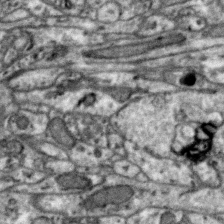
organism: Zebra finch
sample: Brain